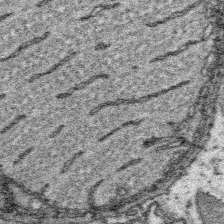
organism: Platynereis dumerilii